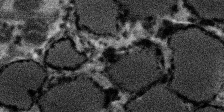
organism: Human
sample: Lung epithelial cells infected with SARS-CoV-2